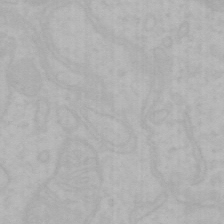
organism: Mouse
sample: Choroid plexus